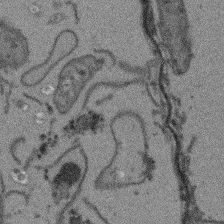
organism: Arabidopsis thaliana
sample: Root tip